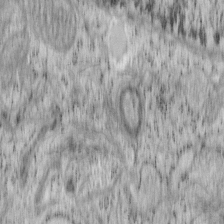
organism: Human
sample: HeLa cells